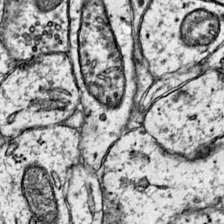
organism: Mouse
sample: Primary visual cortex